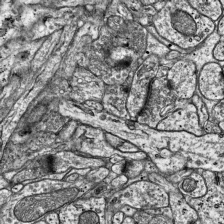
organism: Mouse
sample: Visual Cortex